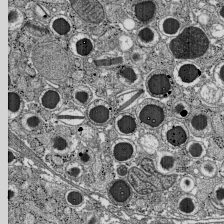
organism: C57BL Mouse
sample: Pancreatic islet